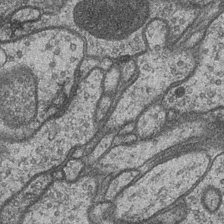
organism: Drosophila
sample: Optic medulla